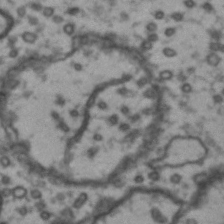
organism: Drosophila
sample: Brain